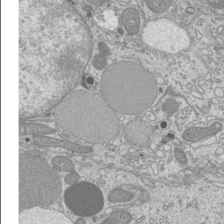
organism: Mouse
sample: Cilia; mouse epididymis